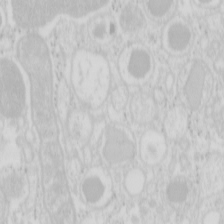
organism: Mouse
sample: Pancreas